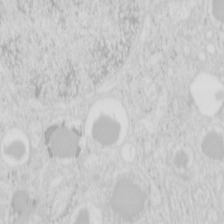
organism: Mouse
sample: Pancreas